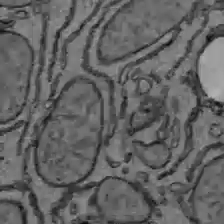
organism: C57BL Mouse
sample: Liver